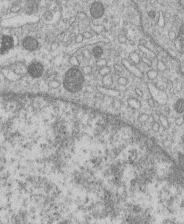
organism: Human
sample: Macrophage cells